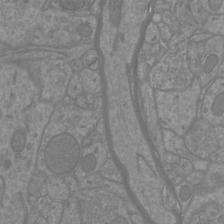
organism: Mouse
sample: Cortical neurons